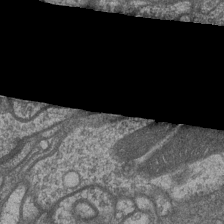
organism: Drosophila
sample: Optic medulla